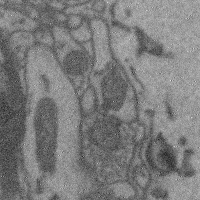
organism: Mouse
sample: Cerebral cortex